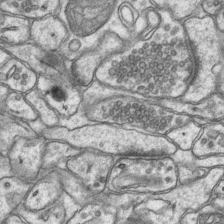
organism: Mouse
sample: CA1 Hippocampus